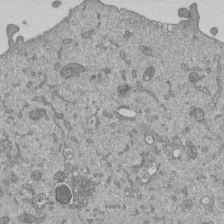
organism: Mouse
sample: ED-1 cell nuclei; centrioles